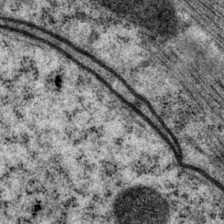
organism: P. pacificus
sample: Pharynx